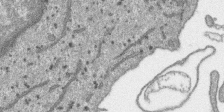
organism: Human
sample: Lung epithelial cells infected with SARS-CoV-2